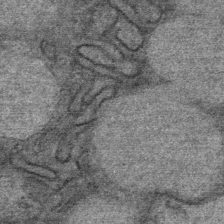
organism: Mouse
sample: Mouse Salivary gland